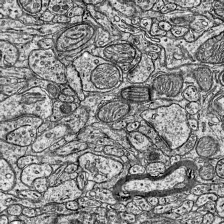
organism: Mouse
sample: Visual Cortex